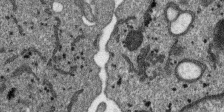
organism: Human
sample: Lung epithelial cells infected with SARS-CoV-2